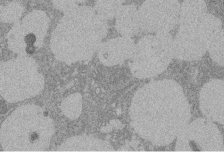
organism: Rat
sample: Salivary granule